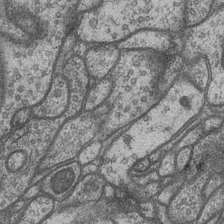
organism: Drosophila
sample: Optic medulla